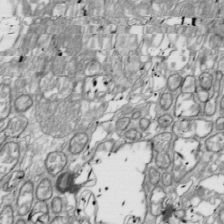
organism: Drosophila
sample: Cell division; meiosis; drosophila spermatocytes